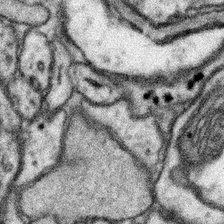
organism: Mouse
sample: Somatosensory cortex neuropil